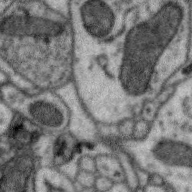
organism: Zebra finch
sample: Brain